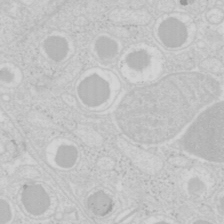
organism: Mouse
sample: Pancreas